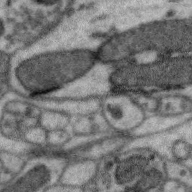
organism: Zebra finch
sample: Brain